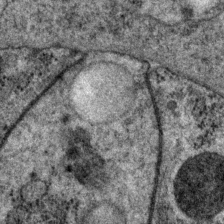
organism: P. pacificus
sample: Pharynx